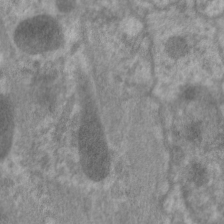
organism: C. elegans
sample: Pharynx